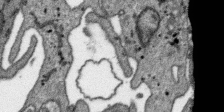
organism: Human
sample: Lung epithelial cells, uninfected (mock) control